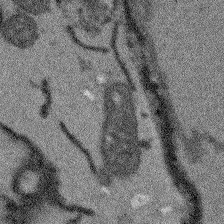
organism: Arabidopsis thaliana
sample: Root tip